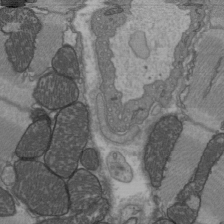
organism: C57BL Mouse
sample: Heart